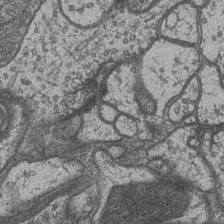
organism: Drosophila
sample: Optic medulla